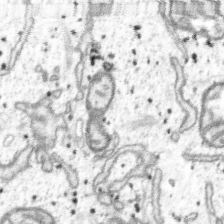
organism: Human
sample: HeLa cells